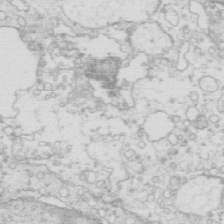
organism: Mouse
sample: Multiciliated cells